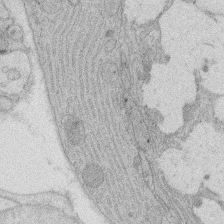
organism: Rat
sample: Salivary granule